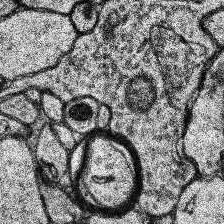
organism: Human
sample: Temporal Lobe